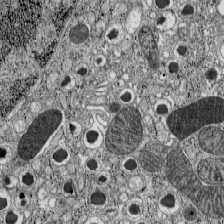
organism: C57BL Mouse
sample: Pancreatic islet